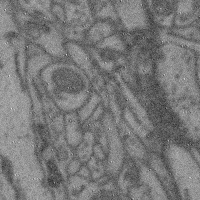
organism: Mouse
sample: Cerebral cortex